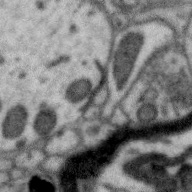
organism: Zebra finch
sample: Brain